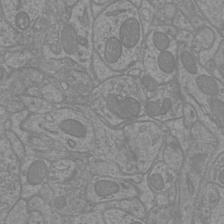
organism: Mouse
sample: Cortical neurons